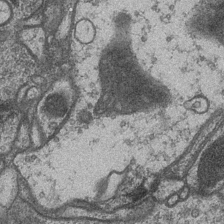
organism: Drosophila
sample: Optic medulla